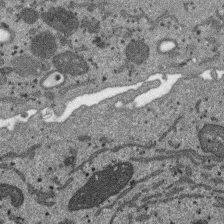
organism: Human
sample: Lung epithelial cells infected with SARS-CoV-2